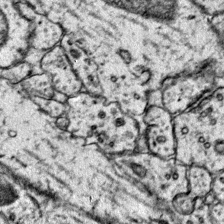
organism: Mouse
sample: Primary visual cortex